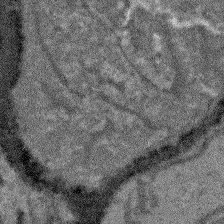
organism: Arabidopsis thaliana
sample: Root tip